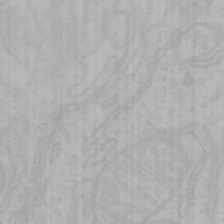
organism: Mouse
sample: Choroid plexus